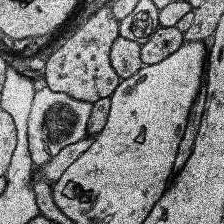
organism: Human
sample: Temporal Lobe